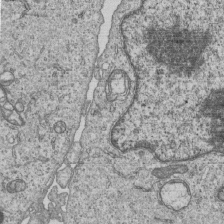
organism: Human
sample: MDA-MB-231 cells